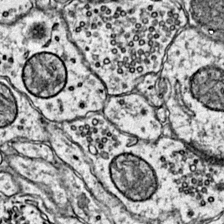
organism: Mouse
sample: Primary visual cortex